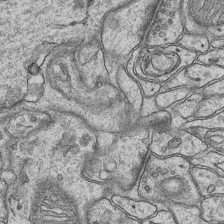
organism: Mouse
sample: CA1 Hippocampus